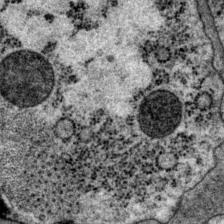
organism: P. pacificus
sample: Pharynx